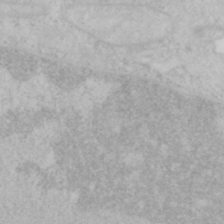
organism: Mouse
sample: OT-I killer T cells with ID8 ovarian cancer cells